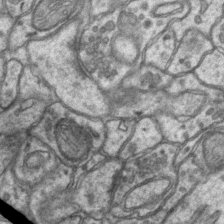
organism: Mouse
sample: CA1 Hippocampus